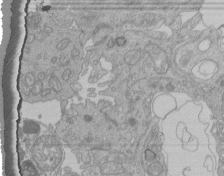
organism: Human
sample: Retinal organoid Rod and Cone cells